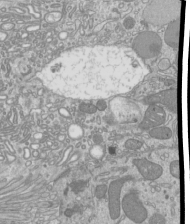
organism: Mouse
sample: Cilia; mouse epididymis